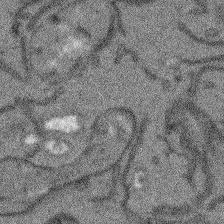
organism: Arabidopsis thaliana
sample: Root tip